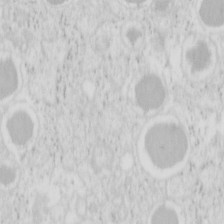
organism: Mouse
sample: Pancreas